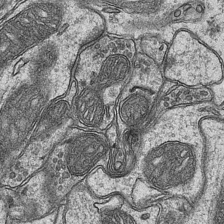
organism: Mouse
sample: CA1 Hippocampus